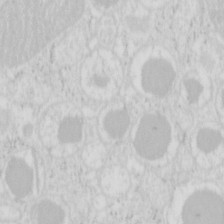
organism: Mouse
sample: Pancreas